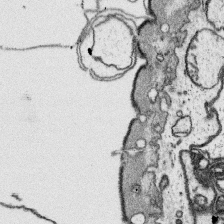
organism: Platynereis dumerilii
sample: Parapodia